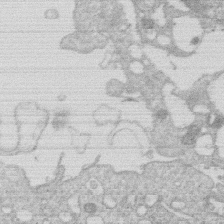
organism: Human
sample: Macrophage cells